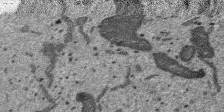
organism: Human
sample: Lung epithelial cells infected with SARS-CoV-2